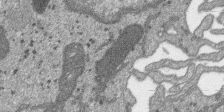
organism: Human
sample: Lung epithelial cells infected with SARS-CoV-2